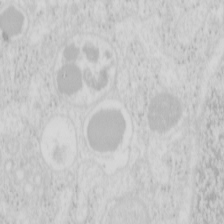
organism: Mouse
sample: Pancreas